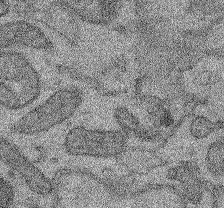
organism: Human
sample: HeLa cells